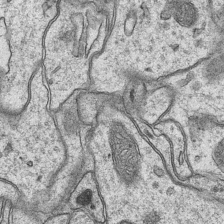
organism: Mouse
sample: CA1 Hippocampus